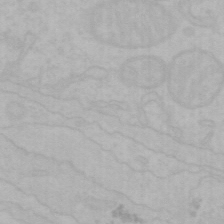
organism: Mouse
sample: Choroid plexus